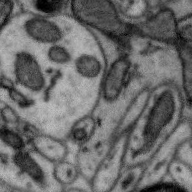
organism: Zebra finch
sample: Brain